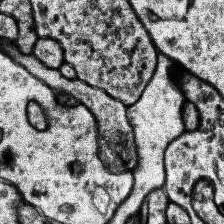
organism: Human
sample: Temporal Lobe